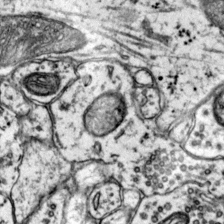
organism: Mouse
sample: Primary visual cortex